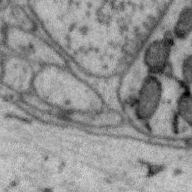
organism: Zebra finch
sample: Brain